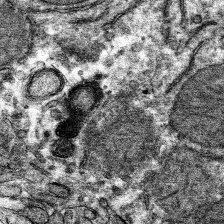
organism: Mouse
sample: Mouse hepatocytes